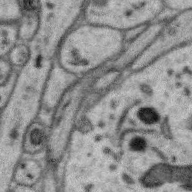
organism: Zebra finch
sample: Brain